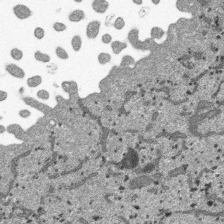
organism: Human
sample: Lung epithelial cells infected with SARS-CoV-2